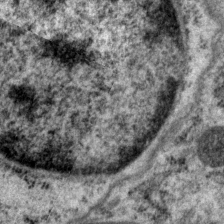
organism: P. pacificus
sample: Pharynx